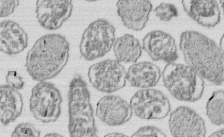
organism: E. coli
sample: Bacterial nucleoid